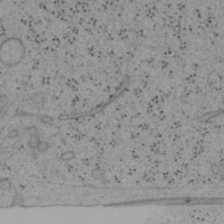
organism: Human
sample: HeLa cells